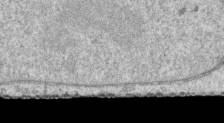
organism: Human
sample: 1205lu cells